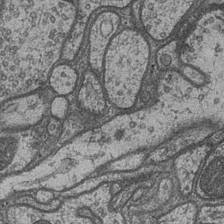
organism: Drosophila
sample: Optic medulla